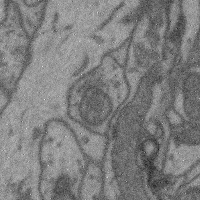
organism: Mouse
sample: Cerebral cortex